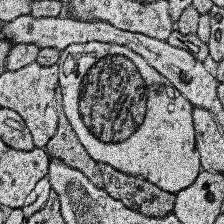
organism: Human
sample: Temporal Lobe